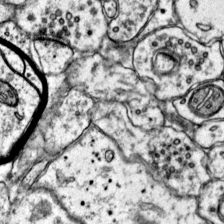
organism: Mouse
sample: Primary visual cortex